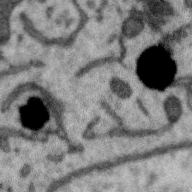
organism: Zebra finch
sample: Brain